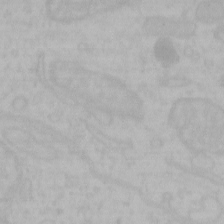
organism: Mouse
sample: Choroid plexus